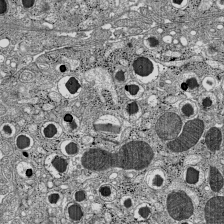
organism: C57BL Mouse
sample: Pancreatic islet